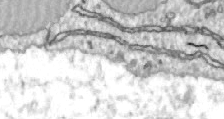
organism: Zebrafish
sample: Actinotrichia fibers